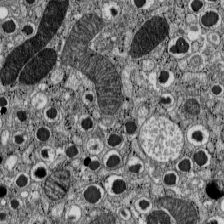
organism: C57BL Mouse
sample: Pancreatic islet